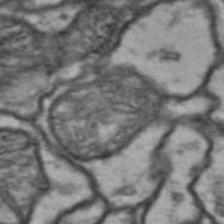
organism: Drosophila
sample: Brain